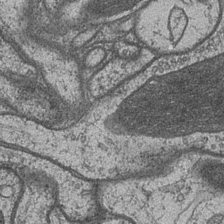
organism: Drosophila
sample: Optic medulla